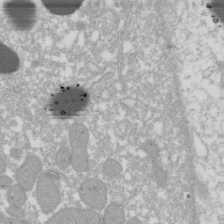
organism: Xenopus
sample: Cilia; centrioles in frog embryo cells